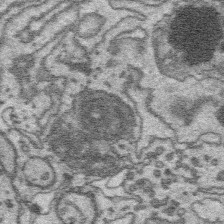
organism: Platynereis dumerilii